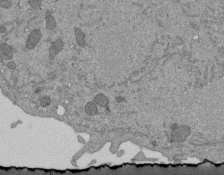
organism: Mouse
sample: ED-1 cell nuclei; centrioles